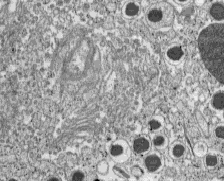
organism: C57BL Mouse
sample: Pancreatic islet